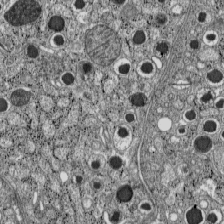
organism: C57BL Mouse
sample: Pancreatic islet